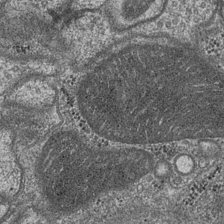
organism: Drosophila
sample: Optic medulla